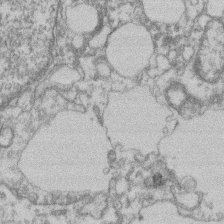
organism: Mouse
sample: T cell stromal cell synapse